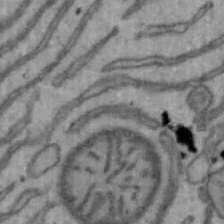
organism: Mouse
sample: Liver